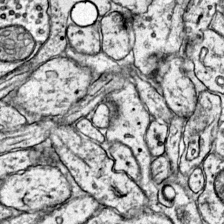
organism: Mouse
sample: Primary visual cortex